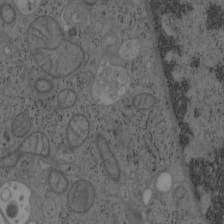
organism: Mouse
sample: OT-I killer T cells with ID8 ovarian cancer cells